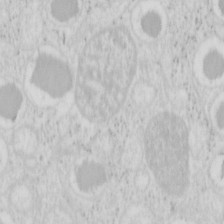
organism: Mouse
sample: Pancreas